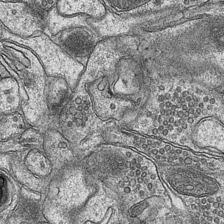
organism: Mouse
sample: CA1 Hippocampus